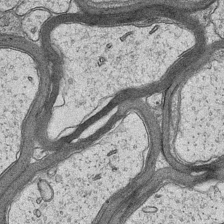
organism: Mouse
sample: CA1 Hippocampus